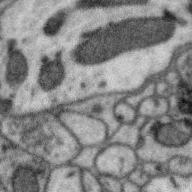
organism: Zebra finch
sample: Brain